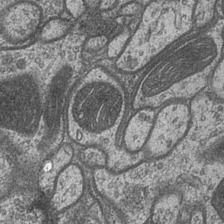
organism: Drosophila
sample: Optic medulla